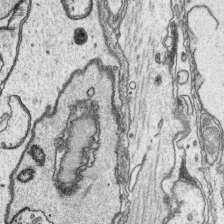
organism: Platynereis dumerilii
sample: Parapodia